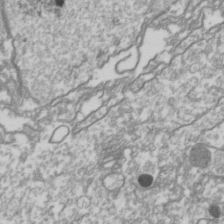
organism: Drosophila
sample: Cell division; meiosis; drosophila spermatocytes